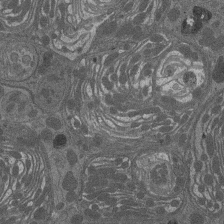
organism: Drosophila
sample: Antenna